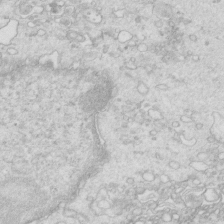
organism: Mouse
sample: Multiciliated cells